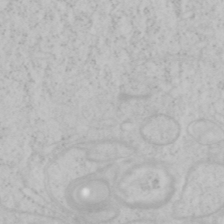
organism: Mouse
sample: OT-I killer T cells with ID8 ovarian cancer cells